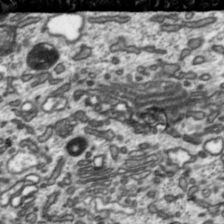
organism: Toxoplasma gondii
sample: Parasites in a vacuole inside a host cell